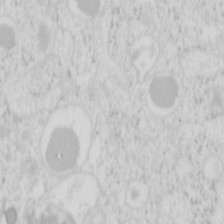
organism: Mouse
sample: Pancreas